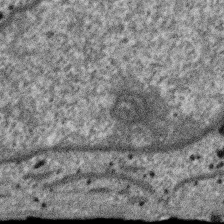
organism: Human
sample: Lung epithelial cells infected with SARS-CoV-2